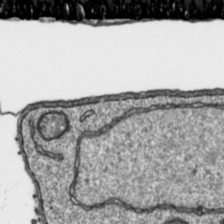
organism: Toxoplasma gondii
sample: Parasites in a vacuole inside a host cell